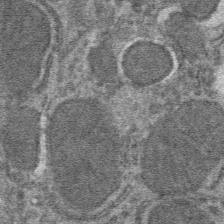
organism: Mouse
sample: Mouse hepatocytes